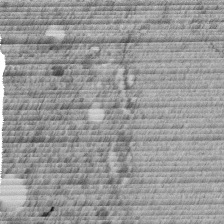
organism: C. elegans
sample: C. elegans embryo early stage